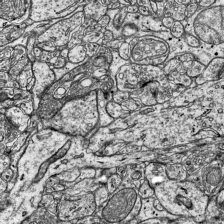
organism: Mouse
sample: Visual Cortex